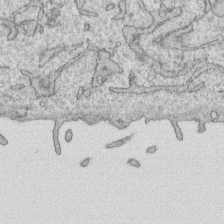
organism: Human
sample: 1205lu cells